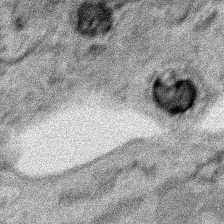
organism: Human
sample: Mitochondria in HCT116 cells